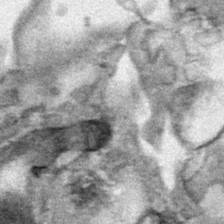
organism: Human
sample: Mitochondria in HCT116 cells